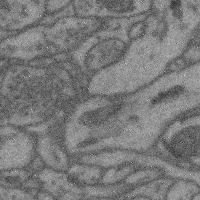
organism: Mouse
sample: Cerebral cortex